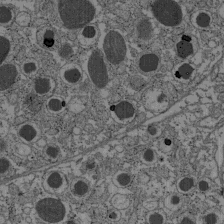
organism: C57BL Mouse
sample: Pancreatic islet